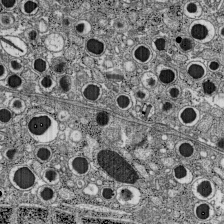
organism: C57BL Mouse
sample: Pancreatic islet